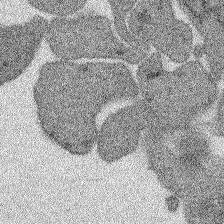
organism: Human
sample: HeLa cells